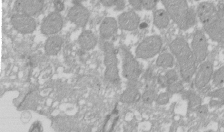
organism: Xenopus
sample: Cilia; centrioles in frog embryo cells